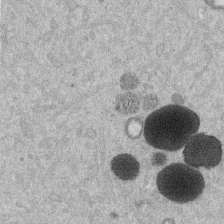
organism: Mouse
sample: Dividing mouse embryo 1 cell stage